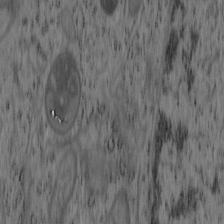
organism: Human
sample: HeLa cells